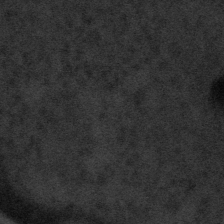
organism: Tuwongella immobilis